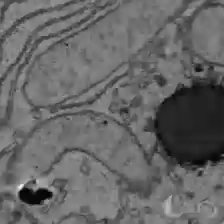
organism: C57BL Mouse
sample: Liver